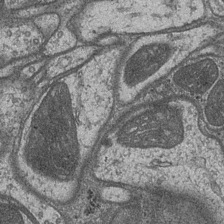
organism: Drosophila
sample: Optic medulla